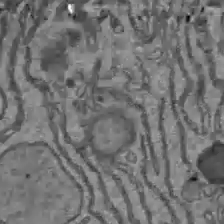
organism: C57BL Mouse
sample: Liver